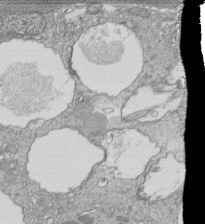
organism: Tetrahymena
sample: Cilia in tetrahymena